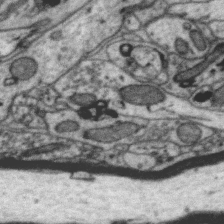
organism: Zebra finch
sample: Brain